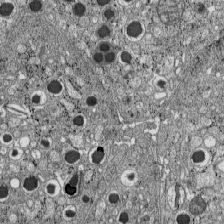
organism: C57BL Mouse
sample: Pancreatic islet